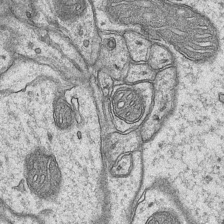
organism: Mouse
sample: CA1 Hippocampus